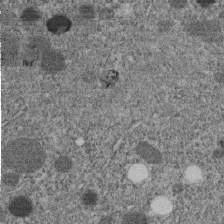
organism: C. elegans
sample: C. elegans embryo early stage